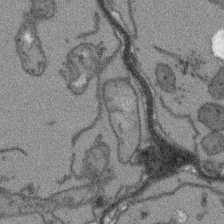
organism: Arabidopsis thaliana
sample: Root tip